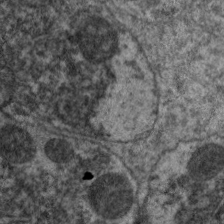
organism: C. elegans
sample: Pharynx